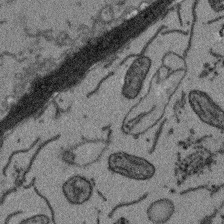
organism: Arabidopsis thaliana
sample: Root tip